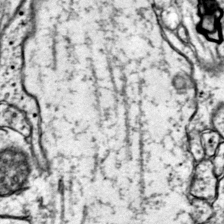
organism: Mouse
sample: Primary visual cortex